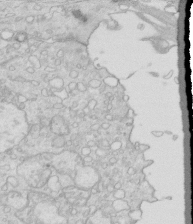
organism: Mouse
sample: Multiciliated cells